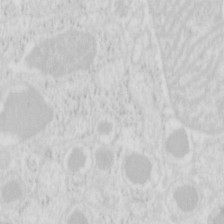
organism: Mouse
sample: Pancreas